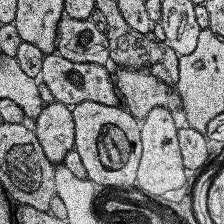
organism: Human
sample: Temporal Lobe